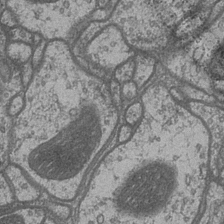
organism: Drosophila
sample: Optic medulla